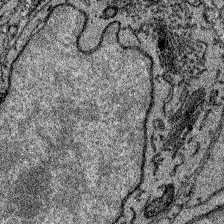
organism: Zebrafish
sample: Larval olfactory bulb